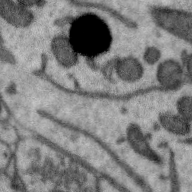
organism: Zebra finch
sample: Brain